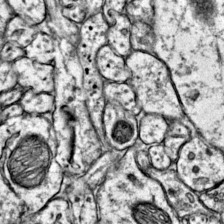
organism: Mouse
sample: Primary visual cortex